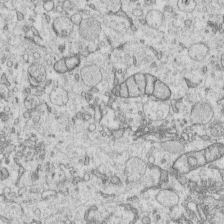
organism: Human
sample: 1205lu cells